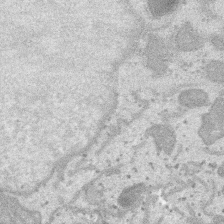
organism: Human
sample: Lung epithelial cells infected with SARS-CoV-2